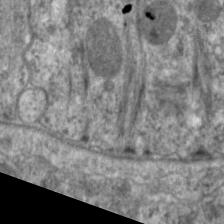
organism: C. elegans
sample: Pharynx